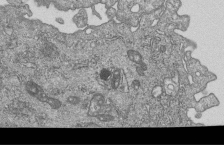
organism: Human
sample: MDA-MB-231 cells